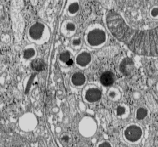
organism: C57BL Mouse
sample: Pancreatic islet